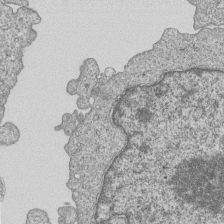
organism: Human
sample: MDA-MB-231 cells